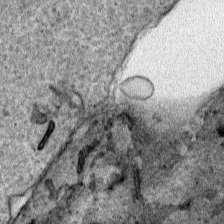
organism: Human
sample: Mitochondria in HCT116 cells